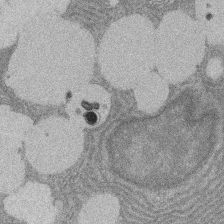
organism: Rat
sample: Salivary granule